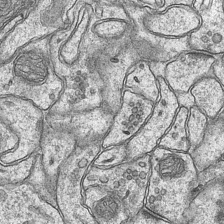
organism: Mouse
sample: CA1 Hippocampus